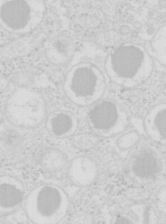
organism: Mouse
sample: Pancreas